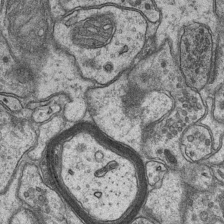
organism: Mouse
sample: CA1 Hippocampus